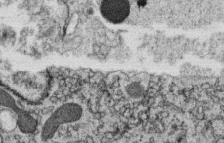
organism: C. elegans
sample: C. elegans oocyte; sperm cells